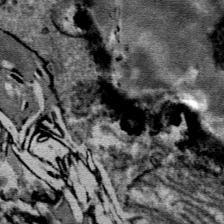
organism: Mouse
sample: Mouse Salivary gland